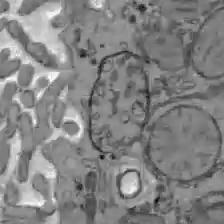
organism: C57BL Mouse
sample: Liver